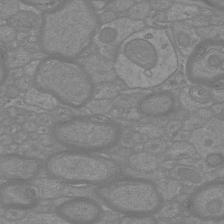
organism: Mouse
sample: Cortical neurons